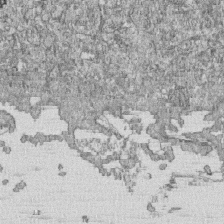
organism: Human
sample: HeLa cell HIV synapse